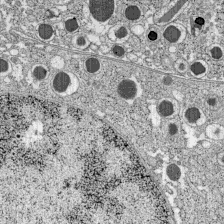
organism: C57BL Mouse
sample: Pancreatic islet